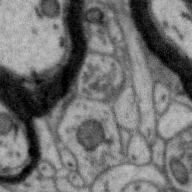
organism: Zebra finch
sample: Brain